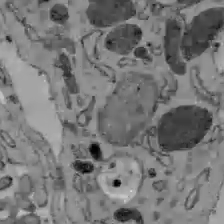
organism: C57BL Mouse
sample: Liver